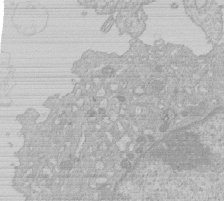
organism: Human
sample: Macrophage cells